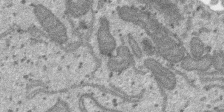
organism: Human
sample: Lung epithelial cells infected with SARS-CoV-2